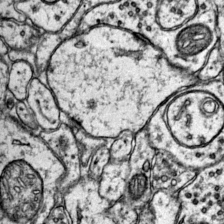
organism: Mouse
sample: Primary visual cortex